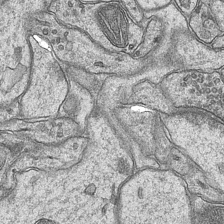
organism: Mouse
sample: CA1 Hippocampus